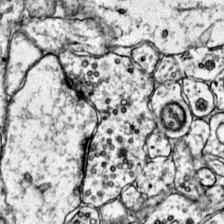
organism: Mouse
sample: Primary visual cortex